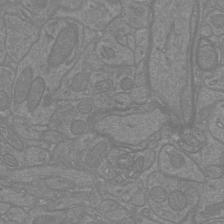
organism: Mouse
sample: Cortical neurons